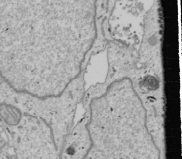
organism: Human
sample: Mitochondria in U2OS cells